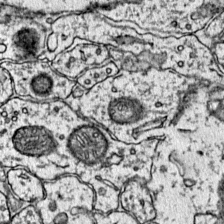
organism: Mouse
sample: Primary visual cortex